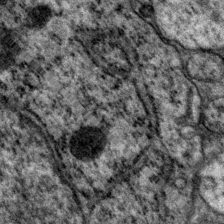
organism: P. pacificus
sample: Pharynx